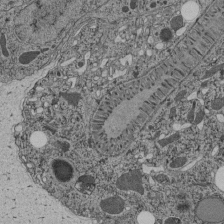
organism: C. elegans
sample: C. elegans pharynx